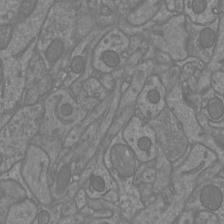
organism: Mouse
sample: Cortical neurons